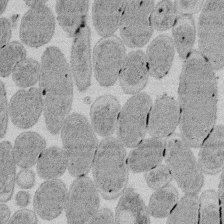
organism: E. coli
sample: Bacterial nucleoid